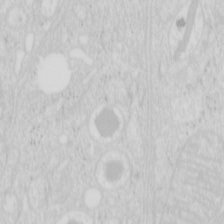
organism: Mouse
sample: Pancreas